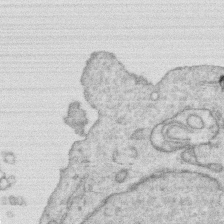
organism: Human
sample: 1205lu cells